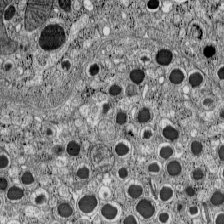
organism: C57BL Mouse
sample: Pancreatic islet